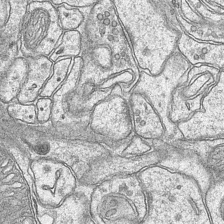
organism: Mouse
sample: CA1 Hippocampus